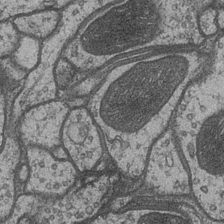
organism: Drosophila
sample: Optic medulla